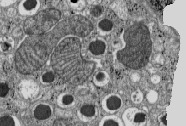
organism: C57BL Mouse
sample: Pancreatic islet